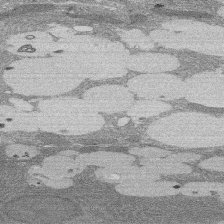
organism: Rat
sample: Salivary granule